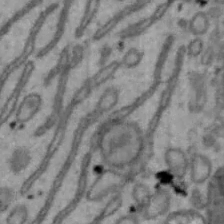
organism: Mouse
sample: Liver